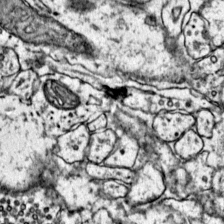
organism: Mouse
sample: Primary visual cortex